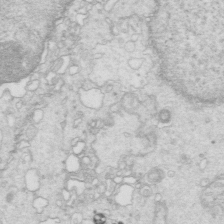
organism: Mouse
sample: Multiciliated cells